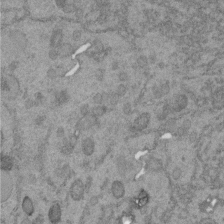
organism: C. elegans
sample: C. elegans embryo early stage